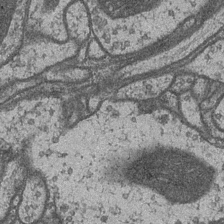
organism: Drosophila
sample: Optic medulla